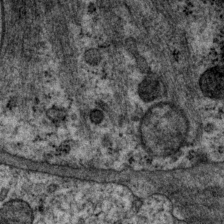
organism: P. pacificus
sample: Pharynx